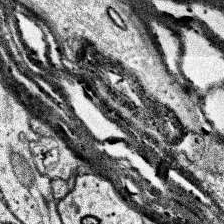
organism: Human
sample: Temporal Lobe